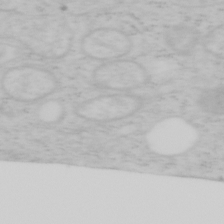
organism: Mouse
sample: OT-I killer T cells with ID8 ovarian cancer cells